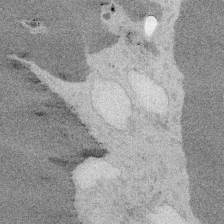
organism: Embia sp.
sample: Silk gland